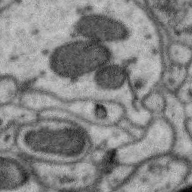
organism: Zebra finch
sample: Brain